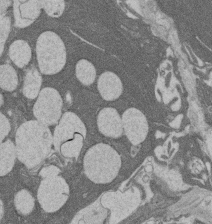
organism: Rat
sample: Salivary granule